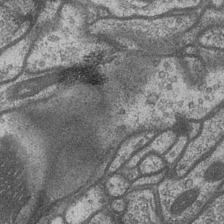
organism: Drosophila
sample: Optic medulla